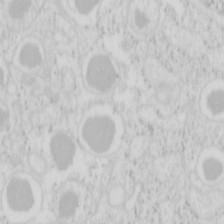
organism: Mouse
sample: Pancreas